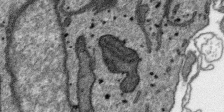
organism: Human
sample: Lung epithelial cells, uninfected (mock) control